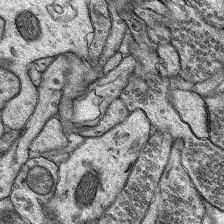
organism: Rat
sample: Hippocampus